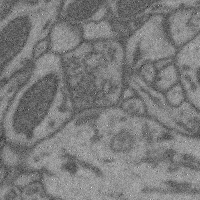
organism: Mouse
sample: Cerebral cortex